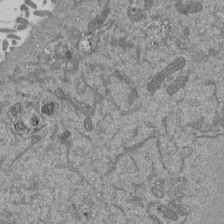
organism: Mouse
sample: ED-1 cell nuclei; centrioles